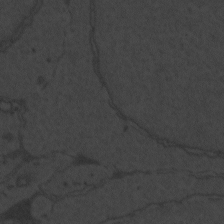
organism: Zebrafish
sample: Macrophage infected with Toxoplasma gondii